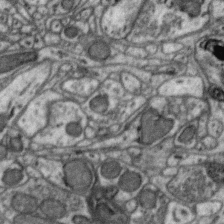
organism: Zebra finch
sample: Brain